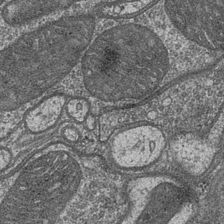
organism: Drosophila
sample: Optic medulla